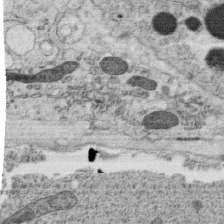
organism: C. elegans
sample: C. elegans oocyte; sperm cells